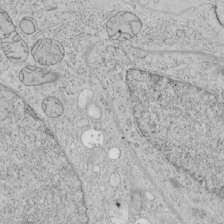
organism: Human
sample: Mitochondria in HCT116 cells